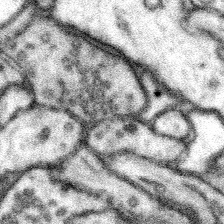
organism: Mouse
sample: Somatosensory cortex neuropil